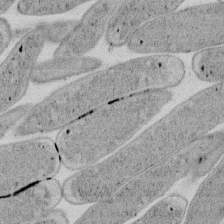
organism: E. coli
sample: Bacterial nucleoid